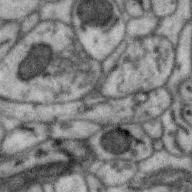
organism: Zebra finch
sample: Brain